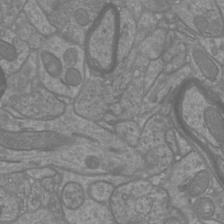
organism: Mouse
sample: Cortical neurons